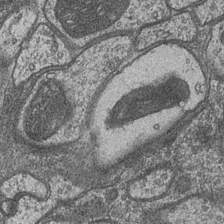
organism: Drosophila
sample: Optic medulla